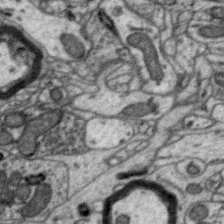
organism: Zebra finch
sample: Brain